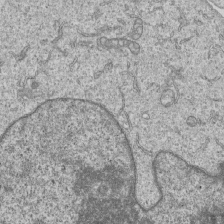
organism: Human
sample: MDA-MB-231 cells